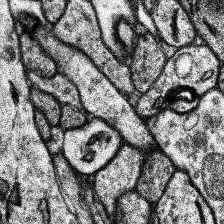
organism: Human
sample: Temporal Lobe